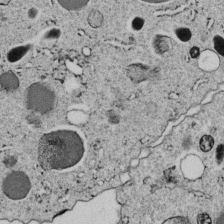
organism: C. elegans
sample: C. elegans embryo early stage